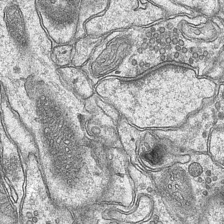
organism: Mouse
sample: CA1 Hippocampus